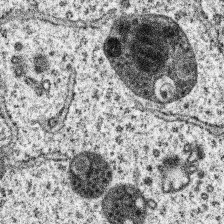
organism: Human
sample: HeLa cells